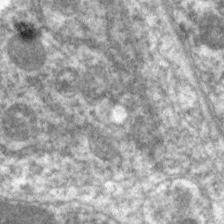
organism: C. elegans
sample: Pharynx